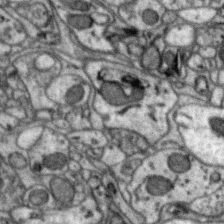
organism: Zebra finch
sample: Brain